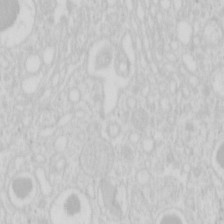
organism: Mouse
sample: Pancreas